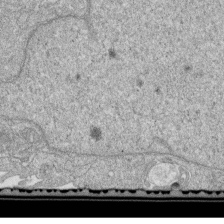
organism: Human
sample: HeLa cell HIV synapse